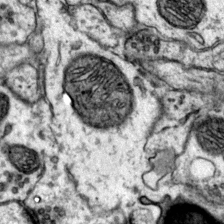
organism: Mouse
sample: Primary visual cortex